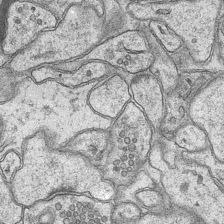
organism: Mouse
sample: CA1 Hippocampus